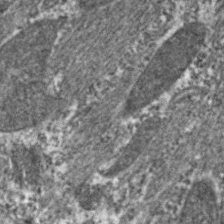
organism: C. elegans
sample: Pharynx